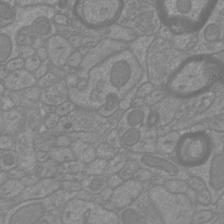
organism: Mouse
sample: Cortical neurons